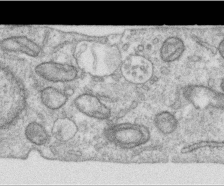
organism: Human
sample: Centriole in RPE cells